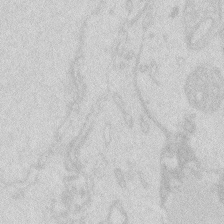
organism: Zebrafish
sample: Macrophage